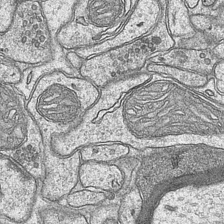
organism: Mouse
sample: CA1 Hippocampus